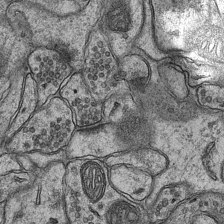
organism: Mouse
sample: CA1 Hippocampus